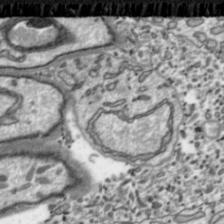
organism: Toxoplasma gondii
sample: Parasites in a vacuole inside a host cell